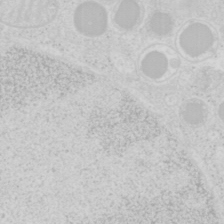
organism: Mouse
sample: Pancreas